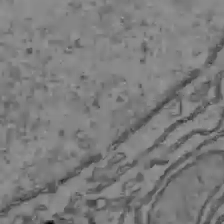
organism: C57BL Mouse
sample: Liver